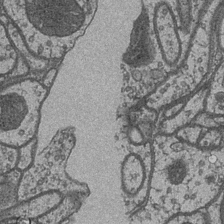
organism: Drosophila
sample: Optic medulla